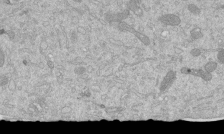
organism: Mouse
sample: ED-1 cell nuclei; centrioles